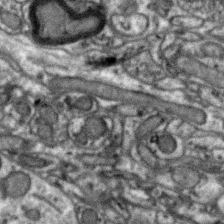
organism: Zebra finch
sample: Brain